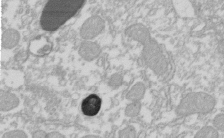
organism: Xenopus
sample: Cilia; centrioles in frog embryo cells